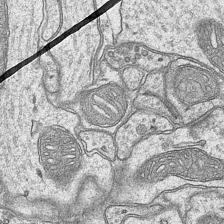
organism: Mouse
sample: CA1 Hippocampus